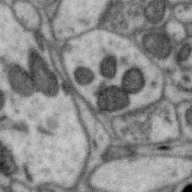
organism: Zebra finch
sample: Brain